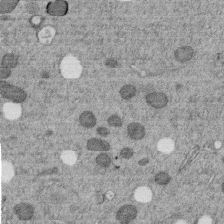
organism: C. elegans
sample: C. elegans embryo early stage